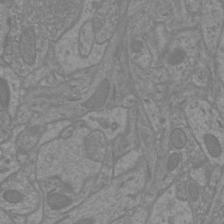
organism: Mouse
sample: Cortical neurons